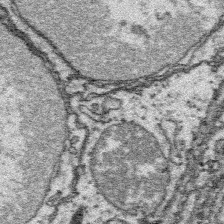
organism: Platynereis dumerilii